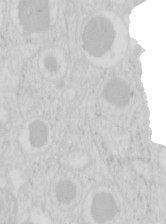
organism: Mouse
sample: Pancreas